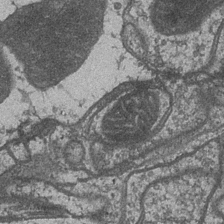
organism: Drosophila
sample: Optic medulla